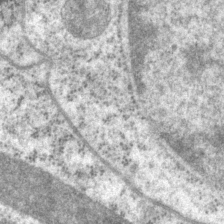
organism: P. pacificus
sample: Pharynx